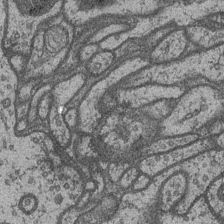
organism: Drosophila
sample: Optic medulla